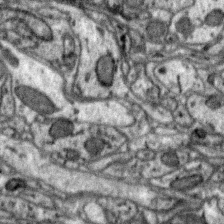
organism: Zebra finch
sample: Brain